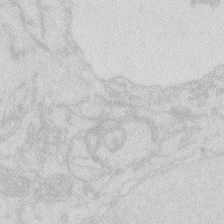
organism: Zebrafish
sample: Macrophage